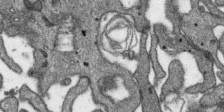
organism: Human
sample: Lung epithelial cells, uninfected (mock) control